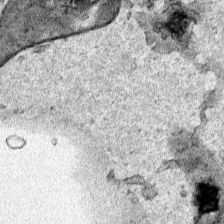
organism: Human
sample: Mitochondria in HCT116 cells